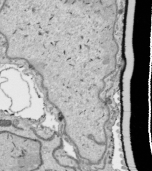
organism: Human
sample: Mitochondria in HCT116 cells